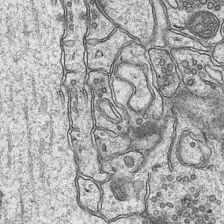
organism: Mouse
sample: CA1 Hippocampus